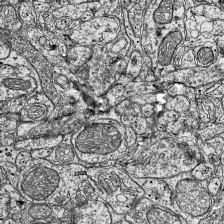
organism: Mouse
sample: Visual Cortex